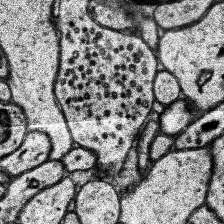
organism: Human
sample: Temporal Lobe